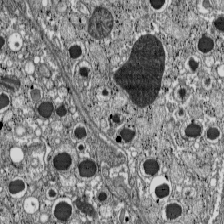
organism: C57BL Mouse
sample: Pancreatic islet